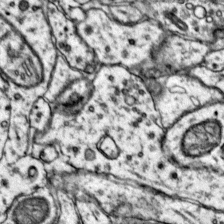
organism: Mouse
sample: Primary visual cortex